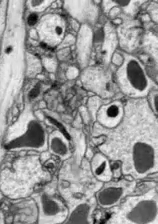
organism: Drosophila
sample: Optic lobe